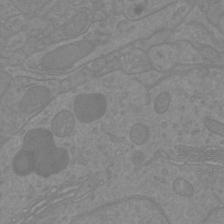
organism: Mouse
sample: Cortical neurons